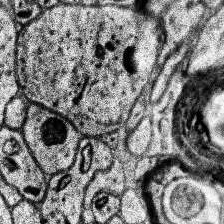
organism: Human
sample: Temporal Lobe